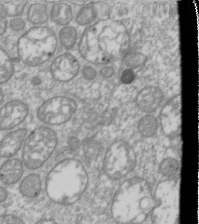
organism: Drosophila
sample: Cell division; meiosis; drosophila spermatocytes